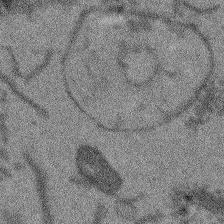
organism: Arabidopsis thaliana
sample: Root tip